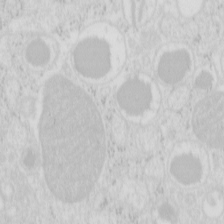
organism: Mouse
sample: Pancreas